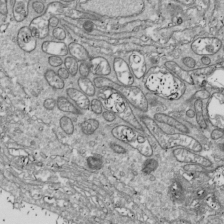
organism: Drosophila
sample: Cell division; meiosis; drosophila spermatocytes